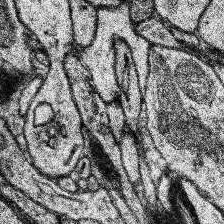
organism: Human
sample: Temporal Lobe